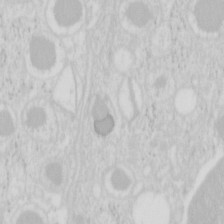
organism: Mouse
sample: Pancreas